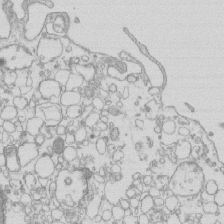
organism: Mouse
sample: Macrophages